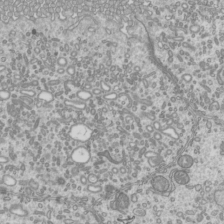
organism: Mouse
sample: Cilia; mouse epididymis